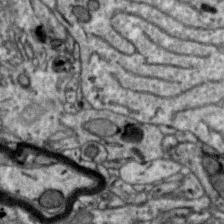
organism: Zebra finch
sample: Brain